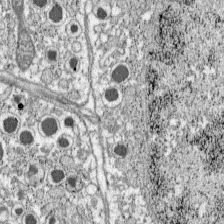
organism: C57BL Mouse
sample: Pancreatic islet